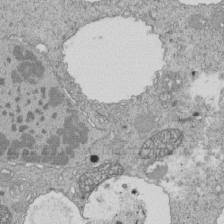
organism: Tetrahymena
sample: Cilia in tetrahymena